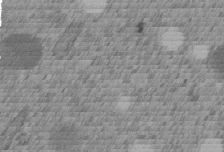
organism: C. elegans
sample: C. elegans embryo early stage